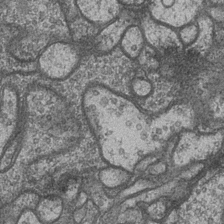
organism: Drosophila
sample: Optic medulla